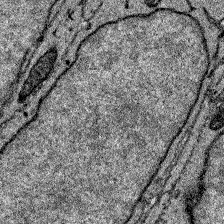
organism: Zebrafish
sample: Larval olfactory bulb